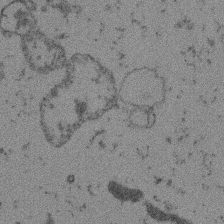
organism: Mouse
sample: Dividing mouse embryo 1 cell stage